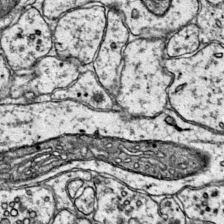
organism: Mouse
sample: Primary visual cortex